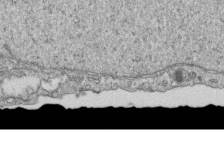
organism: Human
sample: HeLa cell HIV synapse